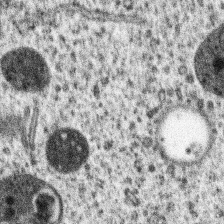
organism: Human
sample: HeLa cells